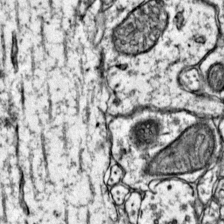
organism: Mouse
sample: Primary visual cortex